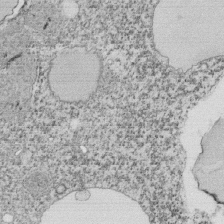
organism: Tetrahymena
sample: Cilia in tetrahymena